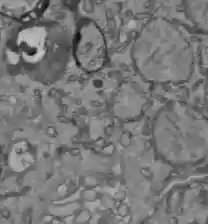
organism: C57BL Mouse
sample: Liver